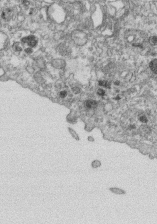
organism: Human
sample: HeLa cell HIV synapse